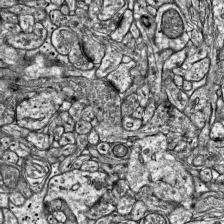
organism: Mouse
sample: Visual Cortex